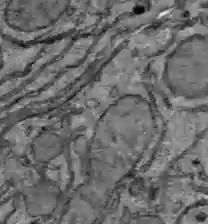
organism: C57BL Mouse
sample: Liver